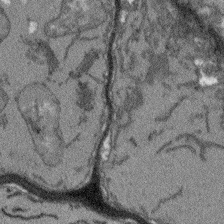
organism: Arabidopsis thaliana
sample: Root tip